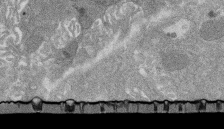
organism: Rat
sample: Salivary granule